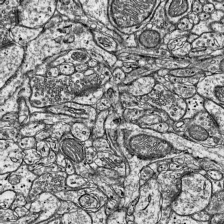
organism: Mouse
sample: Visual Cortex